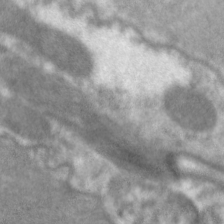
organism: C. elegans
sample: Pharynx